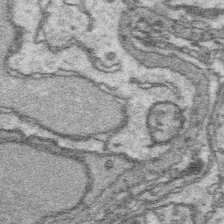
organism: Platynereis dumerilii